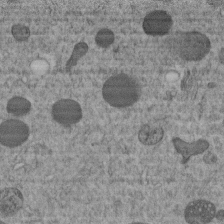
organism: C. elegans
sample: C. elegans embryo early stage